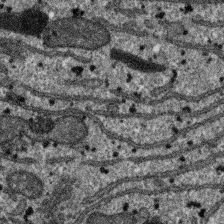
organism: Human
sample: Lung epithelial cells infected with SARS-CoV-2